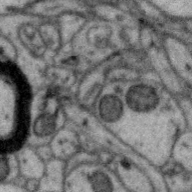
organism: Zebra finch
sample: Brain